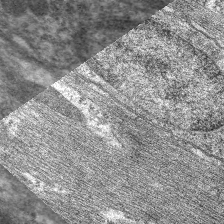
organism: C. elegans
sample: Pharynx